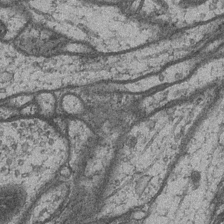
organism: Drosophila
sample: Optic medulla